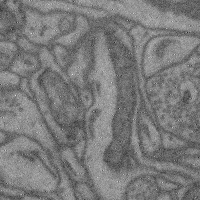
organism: Mouse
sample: Cerebral cortex